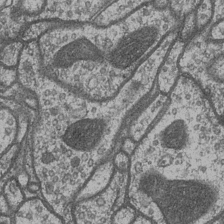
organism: Drosophila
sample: Optic medulla